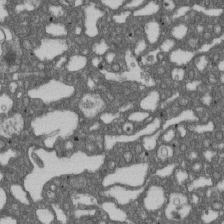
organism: Drosophila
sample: Nephrocyte